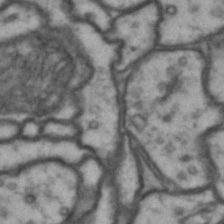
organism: Drosophila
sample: Brain